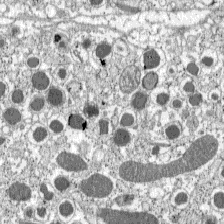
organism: C57BL Mouse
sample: Pancreatic islet